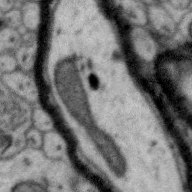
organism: Zebra finch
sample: Brain